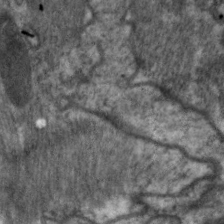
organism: C. elegans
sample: Pharynx